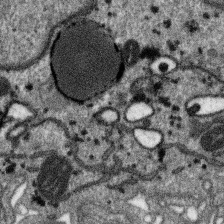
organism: Human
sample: Lung epithelial cells infected with SARS-CoV-2